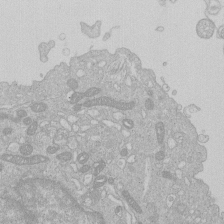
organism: Human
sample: Macrophage cells